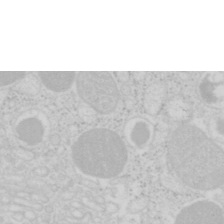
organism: Mouse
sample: Pancreas